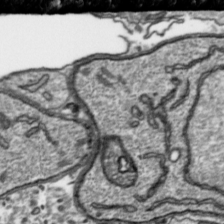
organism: Toxoplasma gondii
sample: Parasites in a vacuole inside a host cell